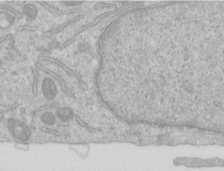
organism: Human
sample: Centriole in RPE cells